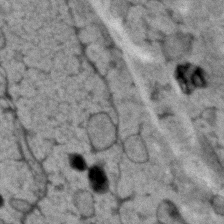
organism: Human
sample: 1205lu cells